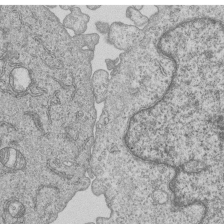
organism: Human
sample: MDA-MB-231 cells